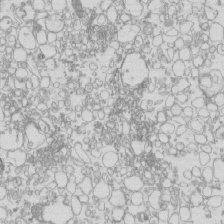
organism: Mouse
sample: Macrophages